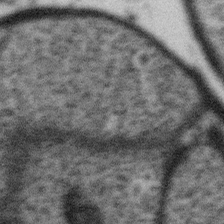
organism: Gemmata obscuriglobus